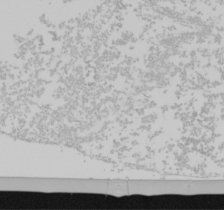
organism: Mouse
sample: Cancer cell death in ED-1 cells